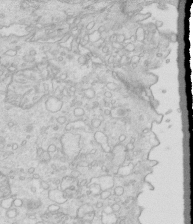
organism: Mouse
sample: Multiciliated cells